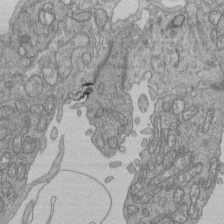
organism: Human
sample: Retinal organoid Rod and Cone cells